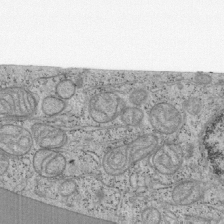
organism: Human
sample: HeLa cells